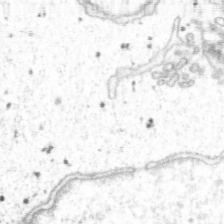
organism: Human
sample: HeLa cells